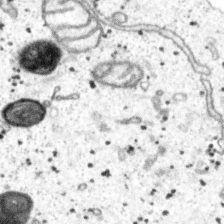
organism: Human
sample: HeLa cells